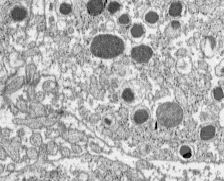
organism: C57BL Mouse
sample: Pancreatic islet